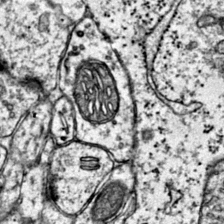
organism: Mouse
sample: Primary visual cortex